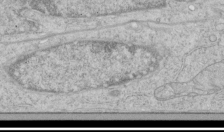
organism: Human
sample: Mitochondria in HCT116 cells